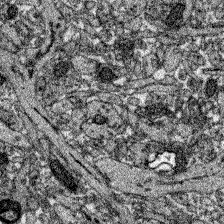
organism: Zebrafish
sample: Larval olfactory bulb